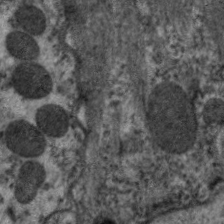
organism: C. elegans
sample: Pharynx